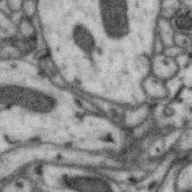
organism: Zebra finch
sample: Brain